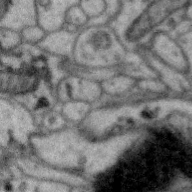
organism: Zebra finch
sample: Brain